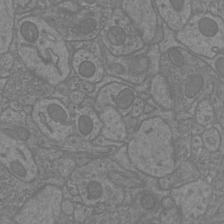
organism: Mouse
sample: Cortical neurons